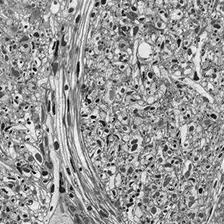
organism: Drosophila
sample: Optic lobe